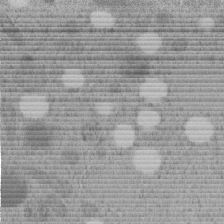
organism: C. elegans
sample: C. elegans embryo early stage